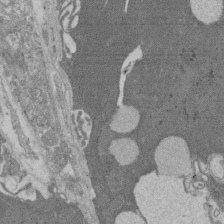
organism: Rat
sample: Salivary granule